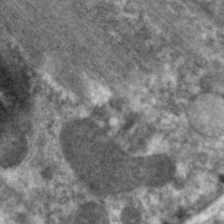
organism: C. elegans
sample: Pharynx